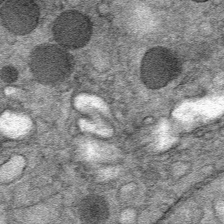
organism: Mouse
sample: Mouse Salivary gland